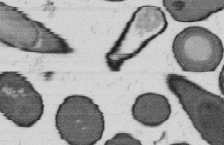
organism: B. subtilis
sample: Bacterial spore